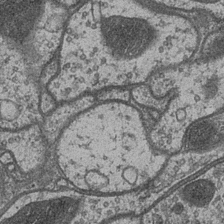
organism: Drosophila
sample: Optic medulla